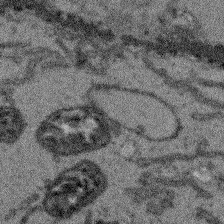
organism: Arabidopsis thaliana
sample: Root tip